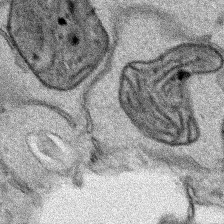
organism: Human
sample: Mitochondria in HCT116 cells